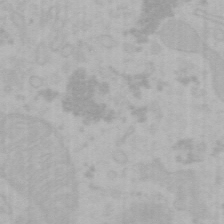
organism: Mouse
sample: Choroid plexus